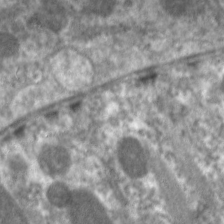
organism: C. elegans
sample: Pharynx